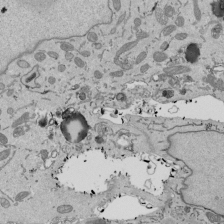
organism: Mouse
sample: ED-1 cell nuclei; centrioles